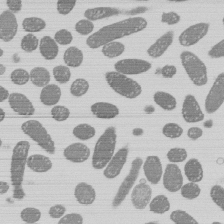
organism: E. coli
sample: Bacterial nucleoid